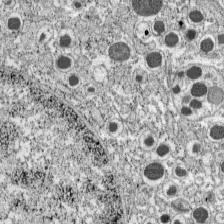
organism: C57BL Mouse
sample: Pancreatic islet